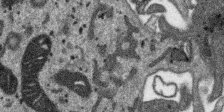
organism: Human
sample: Lung epithelial cells infected with SARS-CoV-2